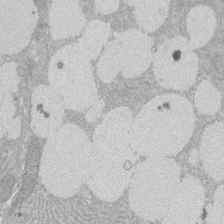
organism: Rat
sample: Salivary granule